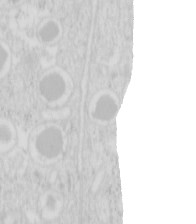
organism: Mouse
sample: Pancreas